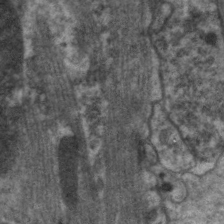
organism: C. elegans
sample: Pharynx